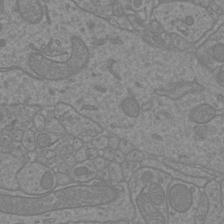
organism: Mouse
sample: Cortical neurons